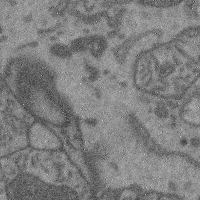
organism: Mouse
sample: Cerebral cortex